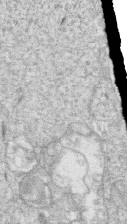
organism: Human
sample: HeLa cell HIV synapse